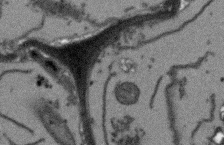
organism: Arabidopsis thaliana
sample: Root tip